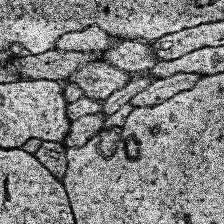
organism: Human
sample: Temporal Lobe